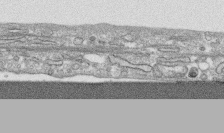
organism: Human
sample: CRL-1474